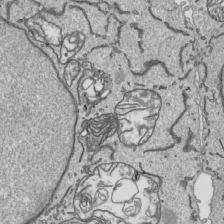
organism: Human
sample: Mitochondria in HCT116 cells